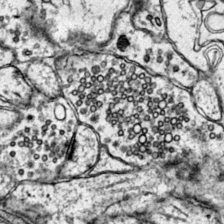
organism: Mouse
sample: Primary visual cortex